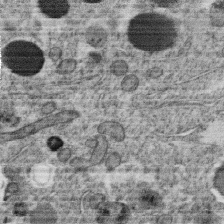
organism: C. elegans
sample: C. elegans oocyte; sperm cells